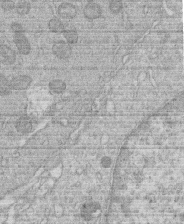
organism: Human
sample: Macrophage cells